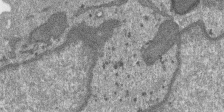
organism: Human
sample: Lung epithelial cells infected with SARS-CoV-2